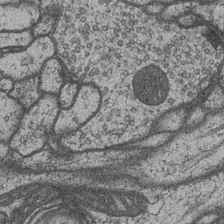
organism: Drosophila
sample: Optic medulla